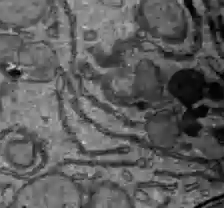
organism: C57BL Mouse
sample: Liver